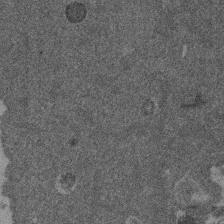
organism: Mouse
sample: Dividing mouse embryo 1 cell stage